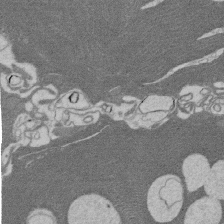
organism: Rat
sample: Salivary granule